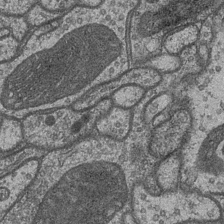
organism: Drosophila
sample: Optic medulla